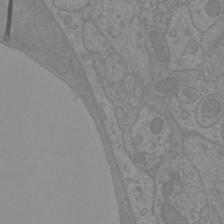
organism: Mouse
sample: Cortical neurons